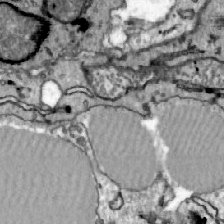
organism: Zebrafish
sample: Actinotrichia fibers